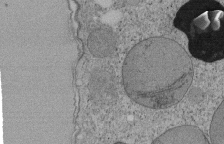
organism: Tetrahymena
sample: Cilia in tetrahymena